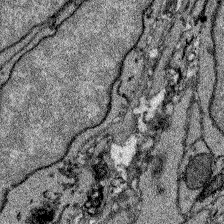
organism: Zebrafish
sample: Larval olfactory bulb